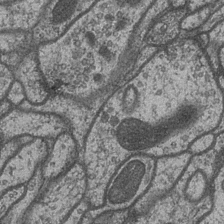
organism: Drosophila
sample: Optic medulla